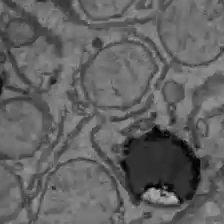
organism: C57BL Mouse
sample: Liver